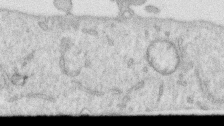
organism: Human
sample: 1205lu cells